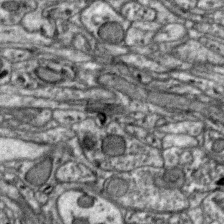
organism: Zebra finch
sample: Brain